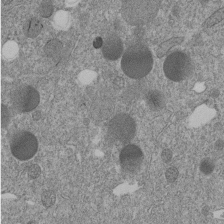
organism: C. elegans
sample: C. elegans embryo early stage